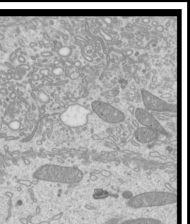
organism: Mouse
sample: Cilia; mouse epididymis